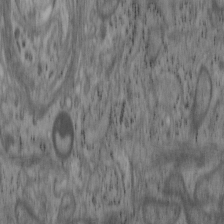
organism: Human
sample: HeLa cells